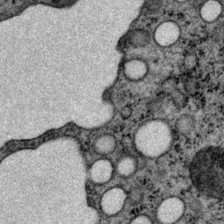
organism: P. pacificus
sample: Pharynx